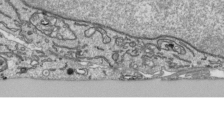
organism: Human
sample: Mitochondria in HCT116 cells